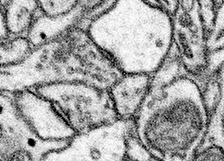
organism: Mouse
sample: Somatosensory cortex neuropil